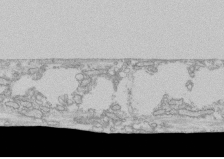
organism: Human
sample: CRL-1474